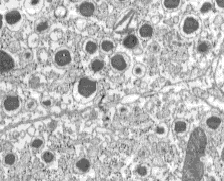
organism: C57BL Mouse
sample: Pancreatic islet